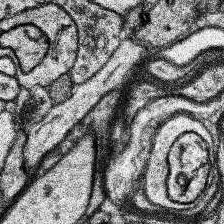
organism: Human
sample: Temporal Lobe